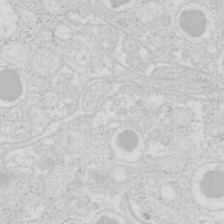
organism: Mouse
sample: Pancreas